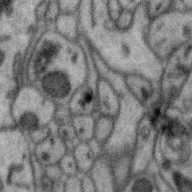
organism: Zebra finch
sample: Brain